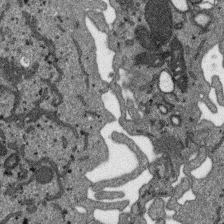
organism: Human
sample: Lung epithelial cells infected with SARS-CoV-2